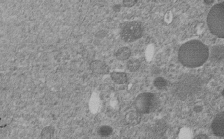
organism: C. elegans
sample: C. elegans embryo early stage